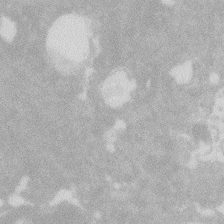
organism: Zebrafish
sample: Macrophage